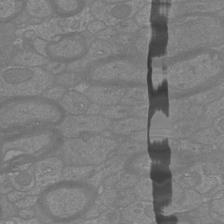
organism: Mouse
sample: Cortical neurons